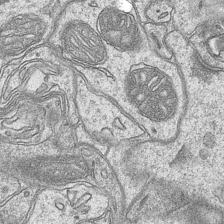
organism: Mouse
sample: CA1 Hippocampus